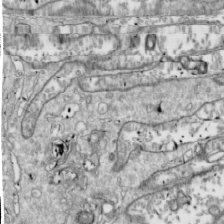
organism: Drosophila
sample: Cell division; meiosis; drosophila spermatocytes